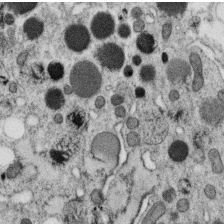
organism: C. elegans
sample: C. elegans oocyte; sperm cells